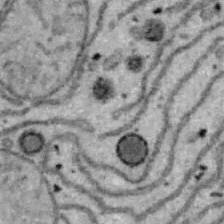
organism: Mouse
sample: Liver from an obese (ob/ob) mouse